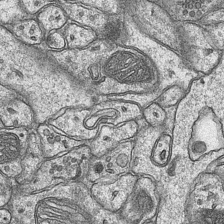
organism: Mouse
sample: CA1 Hippocampus